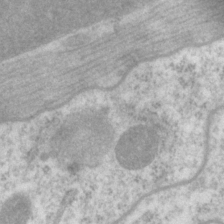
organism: P. pacificus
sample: Pharynx